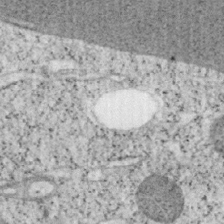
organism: Mouse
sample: OT-I killer T cells with ID8 ovarian cancer cells